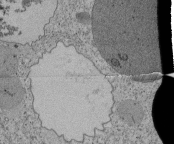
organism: Tetrahymena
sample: Cilia in tetrahymena